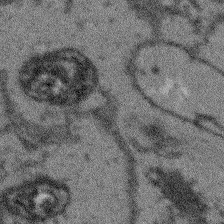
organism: Arabidopsis thaliana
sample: Root tip